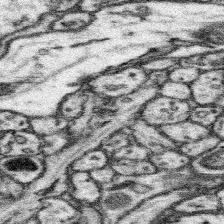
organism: Mouse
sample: Somatosensory cortex neuropil